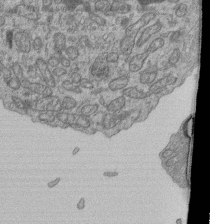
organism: Human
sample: Retinal organoid Rod and Cone cells